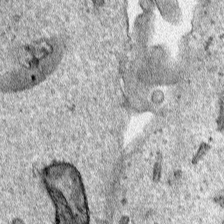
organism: Human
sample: Mitochondria in HCT116 cells